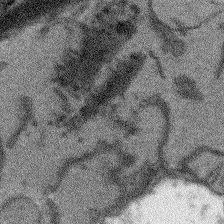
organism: Arabidopsis thaliana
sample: Root tip